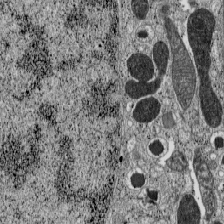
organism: C57BL Mouse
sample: Pancreatic islet